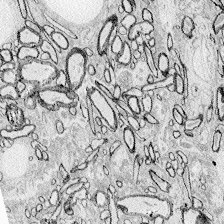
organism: Zebrafish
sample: Whole-Brain